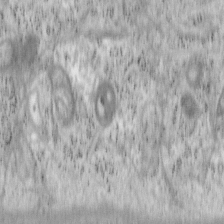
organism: Human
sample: HeLa cells